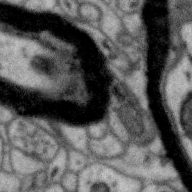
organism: Zebra finch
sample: Brain